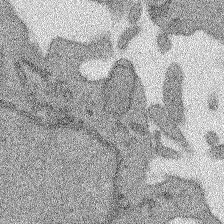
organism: Human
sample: HeLa cells